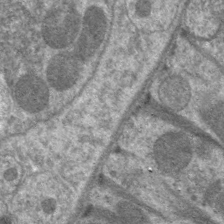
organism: C. elegans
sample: Pharynx